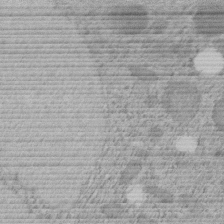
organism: C. elegans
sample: C. elegans embryo early stage